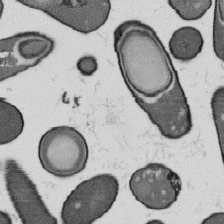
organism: B. subtilis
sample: Bacterial spore